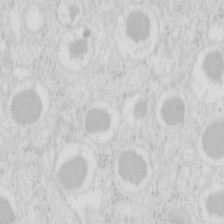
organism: Mouse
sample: Pancreas